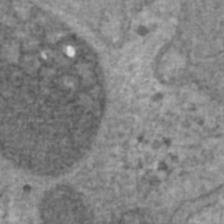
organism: Human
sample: Blood